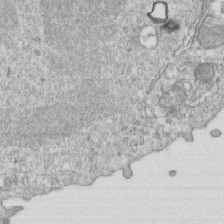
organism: Mouse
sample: Activated OT-1 CD8+ T cells